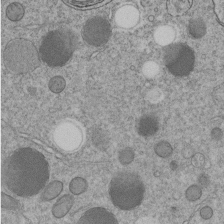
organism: C. elegans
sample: C. elegans embryo early stage